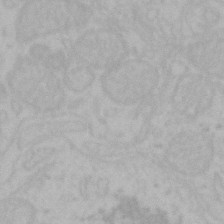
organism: Mouse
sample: Choroid plexus